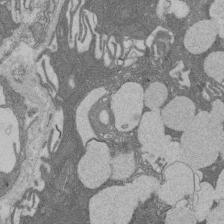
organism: Rat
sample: Salivary granule